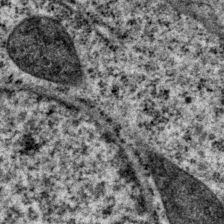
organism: P. pacificus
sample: Pharynx